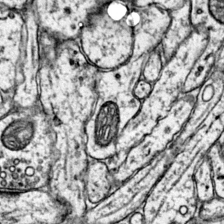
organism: Mouse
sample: Primary visual cortex